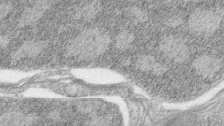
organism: Zebrafish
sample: synaptic ribbons in rod cells and cone cells